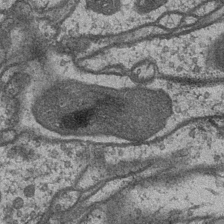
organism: Drosophila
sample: Optic medulla